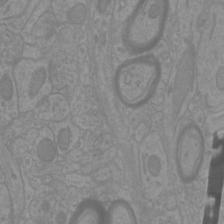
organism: Mouse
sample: Cortical neurons